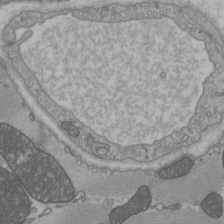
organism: C57BL Mouse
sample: Heart